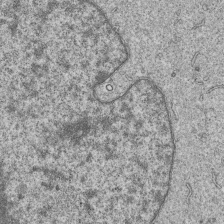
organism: Human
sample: MDA-MB-231 cells